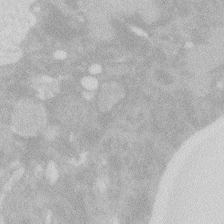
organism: Zebrafish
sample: Macrophage